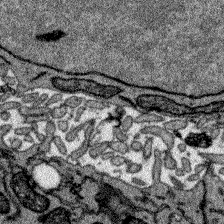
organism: Zebrafish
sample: Larval olfactory bulb